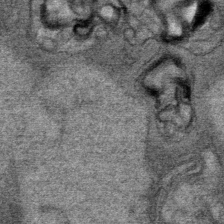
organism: Mouse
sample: Mouse Salivary gland